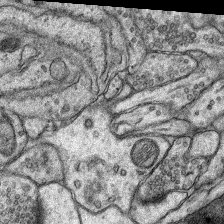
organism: Rat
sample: Hippocampus